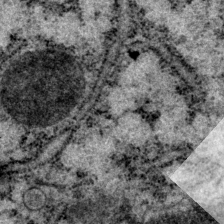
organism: P. pacificus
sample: Pharynx